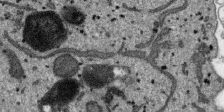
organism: Human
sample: Lung epithelial cells, uninfected (mock) control